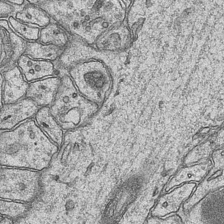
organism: Mouse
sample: CA1 Hippocampus